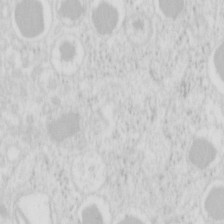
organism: Mouse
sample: Pancreas